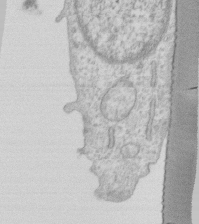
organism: Human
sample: Fibroblast cells